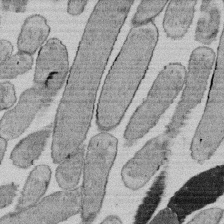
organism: E. coli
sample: Bacterial nucleoid